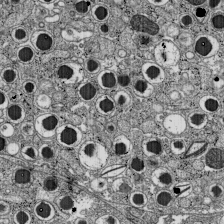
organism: C57BL Mouse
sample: Pancreatic islet